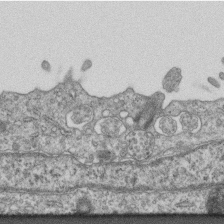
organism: Mouse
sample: Centriole in ependymal cells